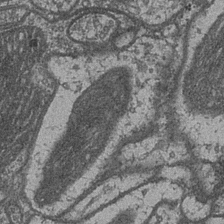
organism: Drosophila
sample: Optic medulla